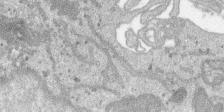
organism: Human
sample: Lung epithelial cells infected with SARS-CoV-2